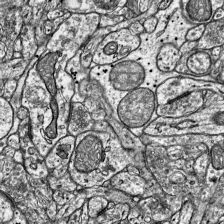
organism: Mouse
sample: Visual Cortex